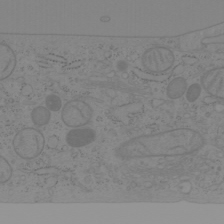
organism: Human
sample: HeLa cells